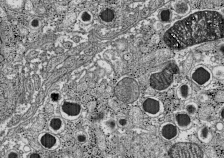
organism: C57BL Mouse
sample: Pancreatic islet